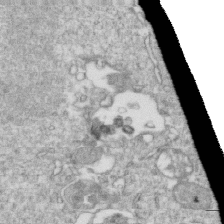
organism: Mouse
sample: Activated OT-1 CD8+ T cells